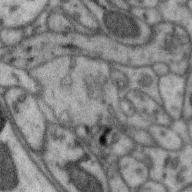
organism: Zebra finch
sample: Brain